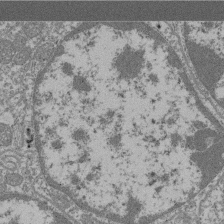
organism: Mouse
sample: Glomerulus